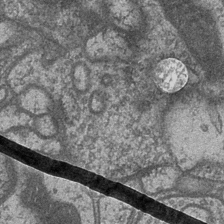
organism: Drosophila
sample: Optic medulla